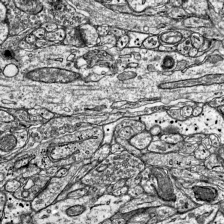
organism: Mouse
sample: Visual Cortex